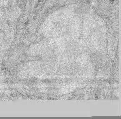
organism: Mouse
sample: Corneal nerves